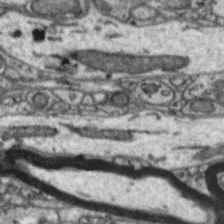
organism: Zebra finch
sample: Brain